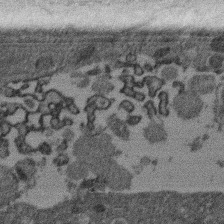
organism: Mouse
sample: Dividing mouse embryo 1 cell stage